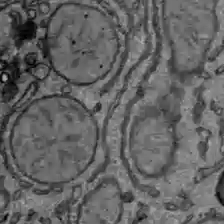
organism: C57BL Mouse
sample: Liver